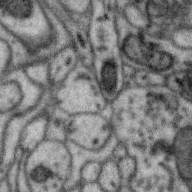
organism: Zebra finch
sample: Brain